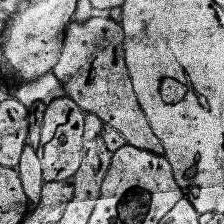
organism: Human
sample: Temporal Lobe